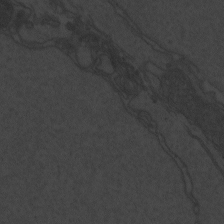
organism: Zebrafish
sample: Macrophage infected with Toxoplasma gondii